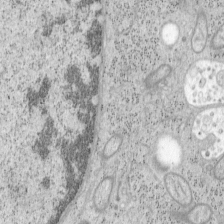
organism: Mouse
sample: OT-I killer T cells with ID8 ovarian cancer cells